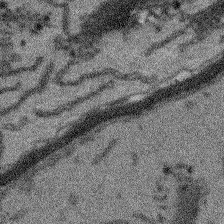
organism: Arabidopsis thaliana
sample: Root tip